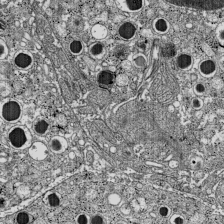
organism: C57BL Mouse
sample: Pancreatic islet